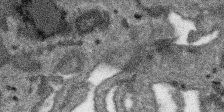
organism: Human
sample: Lung epithelial cells infected with SARS-CoV-2